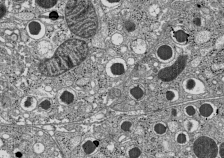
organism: C57BL Mouse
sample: Pancreatic islet